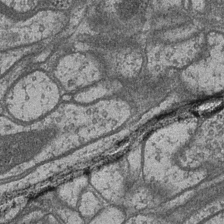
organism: Drosophila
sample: Optic medulla